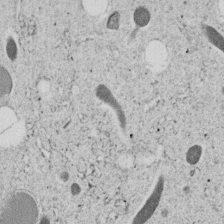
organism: C. elegans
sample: C. elegans embryo early stage